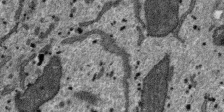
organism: Human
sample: Lung epithelial cells, uninfected (mock) control